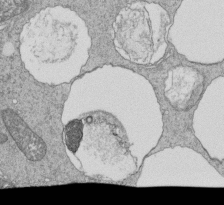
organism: Tetrahymena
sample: Cilia in tetrahymena